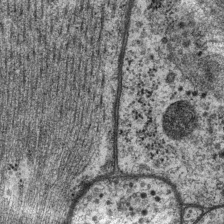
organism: P. pacificus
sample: Pharynx